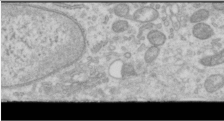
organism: Human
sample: Cilia; basal body in RPE cells